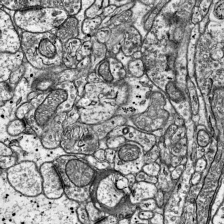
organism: Mouse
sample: Visual Cortex